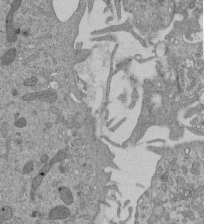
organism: Mouse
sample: ED-1 cell nuclei; centrioles